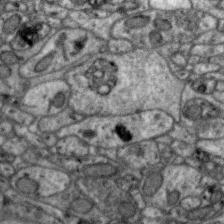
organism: Zebra finch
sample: Brain